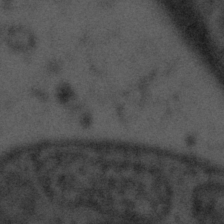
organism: Tuwongella immobilis